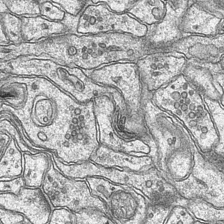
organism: Mouse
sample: CA1 Hippocampus